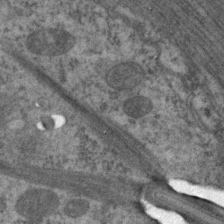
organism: C. elegans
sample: Pharynx